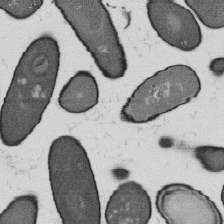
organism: B. subtilis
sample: Bacterial spore